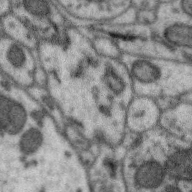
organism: Zebra finch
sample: Brain